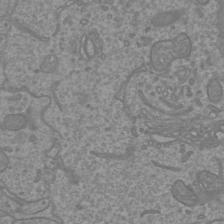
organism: Mouse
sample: Cortical neurons